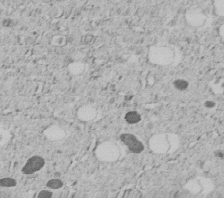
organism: C. elegans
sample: C. elegans embryo early stage